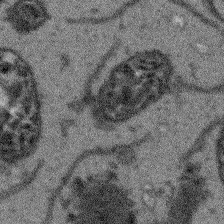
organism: Arabidopsis thaliana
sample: Root tip